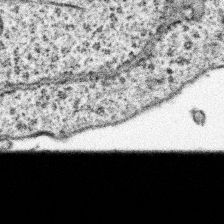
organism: Human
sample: HeLa cells